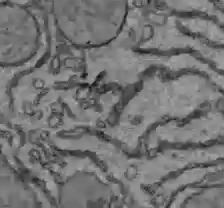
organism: C57BL Mouse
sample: Liver